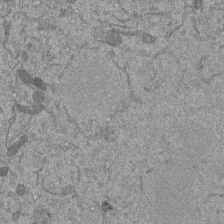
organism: Mouse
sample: ED-1 cell nuclei; centrioles